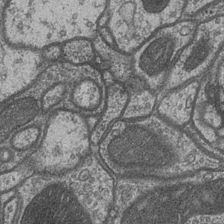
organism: Drosophila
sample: Optic medulla